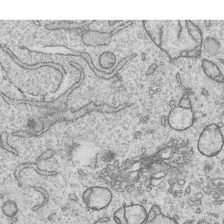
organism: Human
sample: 1205lu cells